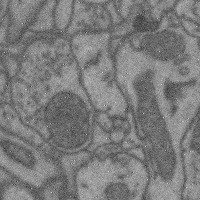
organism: Mouse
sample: Cerebral cortex